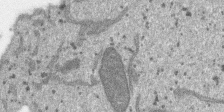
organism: Human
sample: Lung epithelial cells infected with SARS-CoV-2